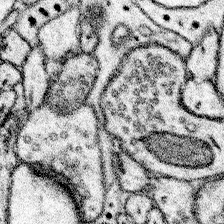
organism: Mouse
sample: Somatosensory cortex neuropil